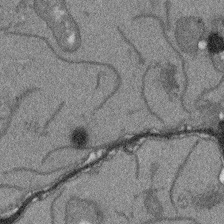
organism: Arabidopsis thaliana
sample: Root tip